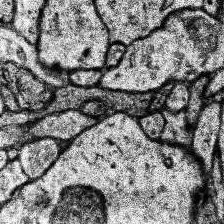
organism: Human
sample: Temporal Lobe